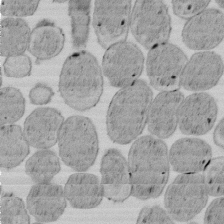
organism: E. coli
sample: Bacterial nucleoid